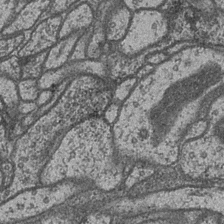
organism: Drosophila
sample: Optic medulla